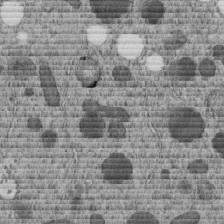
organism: C. elegans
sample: C. elegans embryo early stage